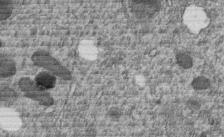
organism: C. elegans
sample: C. elegans embryo early stage